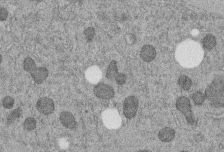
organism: C. elegans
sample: C. elegans embryo early stage